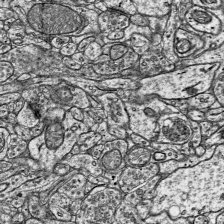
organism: Mouse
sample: Visual Cortex